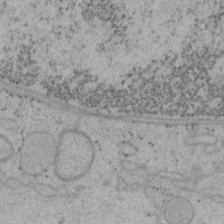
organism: Human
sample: HeLa cells